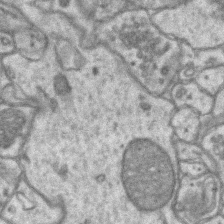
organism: Mouse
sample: CA1 Hippocampus